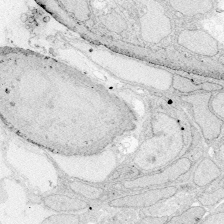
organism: Zebrafish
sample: Whole-Brain